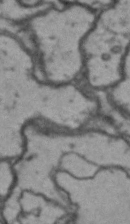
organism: Drosophila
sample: Brain